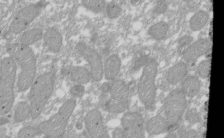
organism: Xenopus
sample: Cilia; centrioles in frog embryo cells